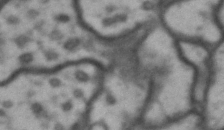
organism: Drosophila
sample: Brain